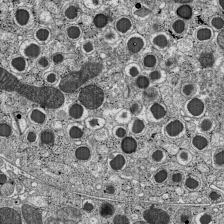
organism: C57BL Mouse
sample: Pancreatic islet